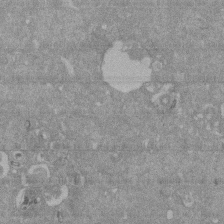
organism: Mouse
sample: ED-1 cell nuclei; centrioles